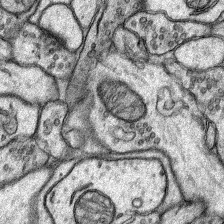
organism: Rat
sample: Hippocampus